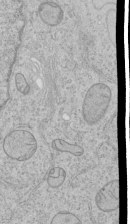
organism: Human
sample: Mitochondria in HCT116 cells